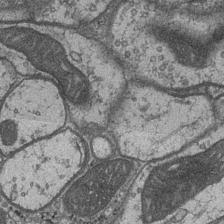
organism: Drosophila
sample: Optic medulla